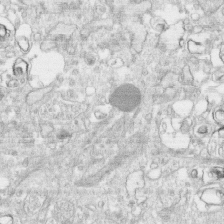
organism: Human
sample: CRL-1474